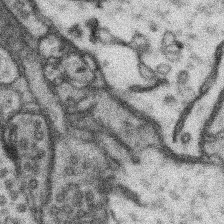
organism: Mouse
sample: Somatosensory cortex neuropil